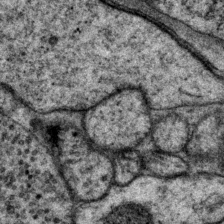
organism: P. pacificus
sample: Pharynx